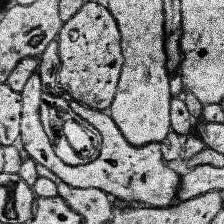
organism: Human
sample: Temporal Lobe